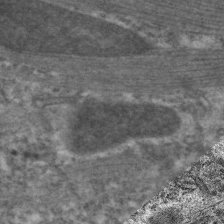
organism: C. elegans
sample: Pharynx